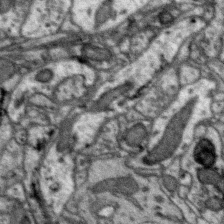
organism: Zebra finch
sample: Brain